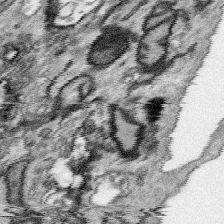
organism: Human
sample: HeLa cells